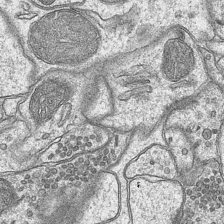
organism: Mouse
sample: CA1 Hippocampus